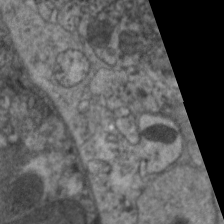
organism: C. elegans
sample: Pharynx